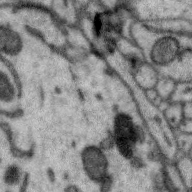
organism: Zebra finch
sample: Brain